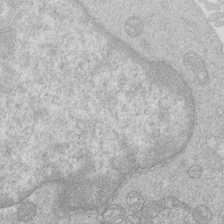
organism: Human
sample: Macrophage cells